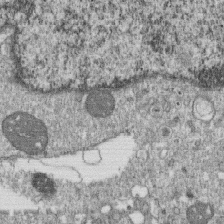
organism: African green monkey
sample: Vero E6 cells infected with SARS-CoV-2